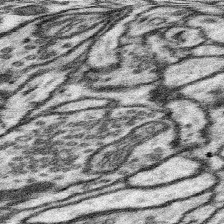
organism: Mouse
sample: Somatosensory cortex neuropil